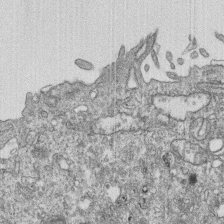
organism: Human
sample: HeLa cell HIV synapse